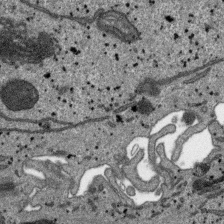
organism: Human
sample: Lung epithelial cells, uninfected (mock) control